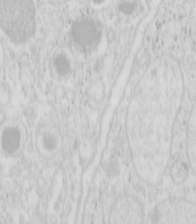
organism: Mouse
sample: Pancreas